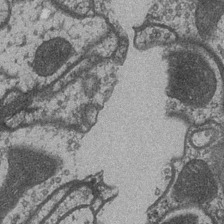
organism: Drosophila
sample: Optic medulla